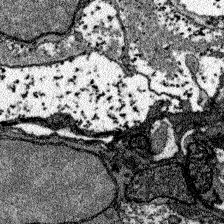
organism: Zebrafish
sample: Larval olfactory bulb